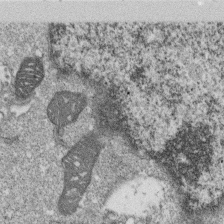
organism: African green monkey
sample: Vero E6 cells infected with SARS-CoV-2